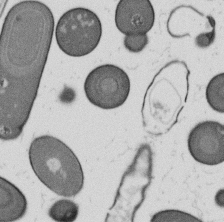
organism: B. subtilis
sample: Bacterial spore